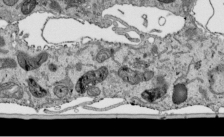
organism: Human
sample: Mitochondria in HCT116 cells